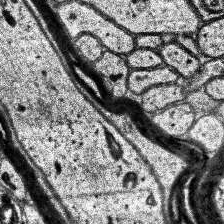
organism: Human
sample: Temporal Lobe